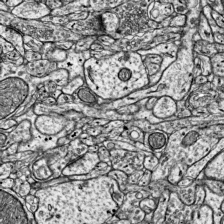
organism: Mouse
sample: Visual Cortex